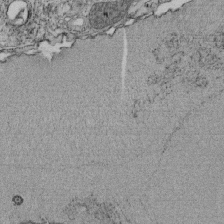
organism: Tetrahymena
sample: Cilia in tetrahymena